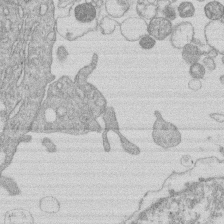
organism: Human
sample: Macrophage cells